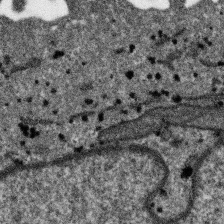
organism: Human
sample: Lung epithelial cells infected with SARS-CoV-2